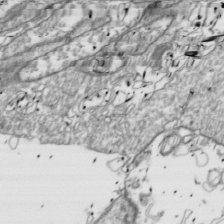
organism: Drosophila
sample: Cell division; meiosis; drosophila spermatocytes